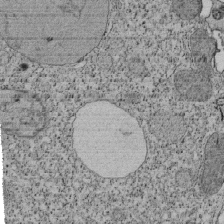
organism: Tetrahymena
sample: Cilia in tetrahymena